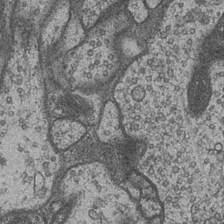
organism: Drosophila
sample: Optic medulla